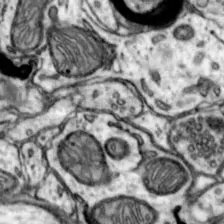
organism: Mouse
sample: Nucleus accumbens